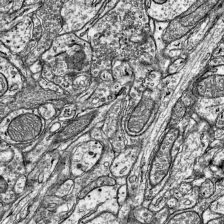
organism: Mouse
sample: Visual Cortex